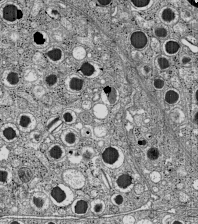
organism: C57BL Mouse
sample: Pancreatic islet